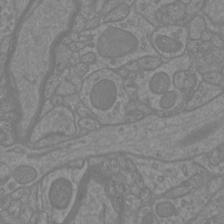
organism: Mouse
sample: Cortical neurons